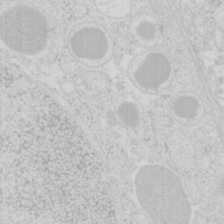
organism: Mouse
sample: Pancreas